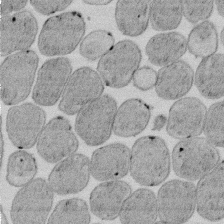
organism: E. coli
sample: Bacterial nucleoid